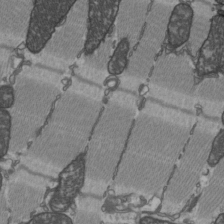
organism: C57BL Mouse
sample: Heart